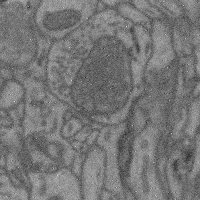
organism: Mouse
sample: Cerebral cortex